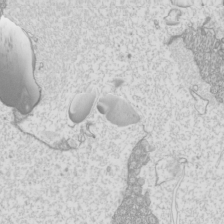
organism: Mouse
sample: Cilia; mouse epididymis